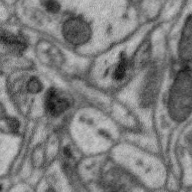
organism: Zebra finch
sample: Brain